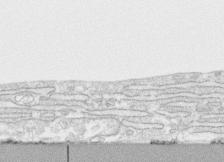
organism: Human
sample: CRL-1474